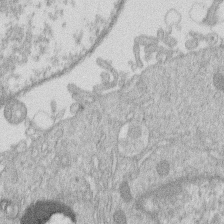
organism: Human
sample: Macrophage cells